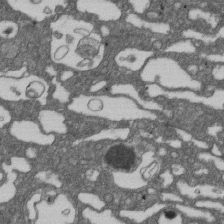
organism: Drosophila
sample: Nephrocyte